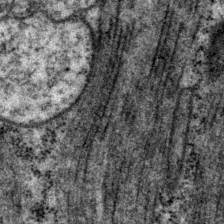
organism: P. pacificus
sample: Pharynx